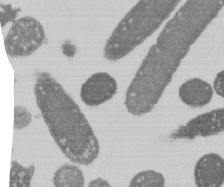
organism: E. coli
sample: Bacterial nucleoid